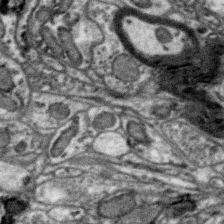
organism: Zebra finch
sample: Brain